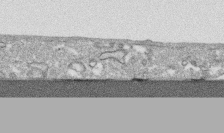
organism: Human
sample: CRL-1474